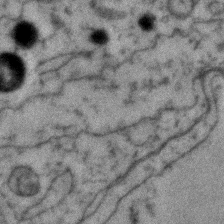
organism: Zebrafish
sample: Zebrafish embryo